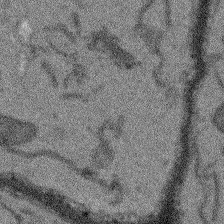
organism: Arabidopsis thaliana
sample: Root tip